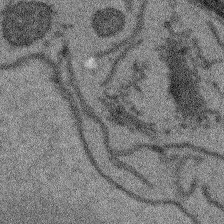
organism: Arabidopsis thaliana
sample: Root tip